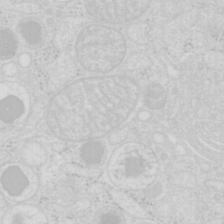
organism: Mouse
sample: Pancreas